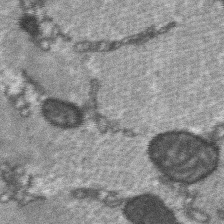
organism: C57BL Mouse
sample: Soleus